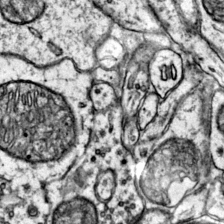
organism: Mouse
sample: Primary visual cortex